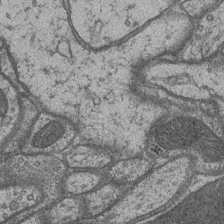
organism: Drosophila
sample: Optic medulla